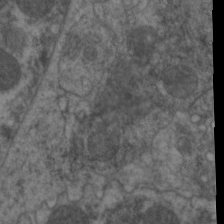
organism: C. elegans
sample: Pharynx